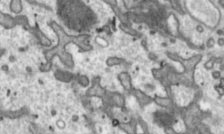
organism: Toxoplasma gondii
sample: Parasites in a vacuole inside a host cell